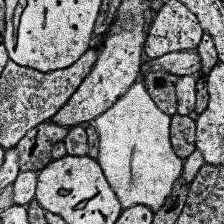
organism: Human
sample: Temporal Lobe